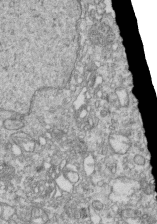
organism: Human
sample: HeLa cell HIV synapse